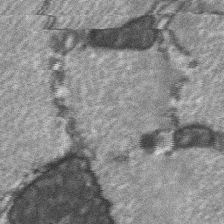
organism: C57BL Mouse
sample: Soleus